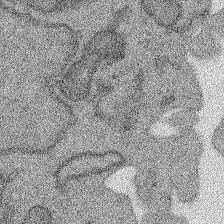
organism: Human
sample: HeLa cells